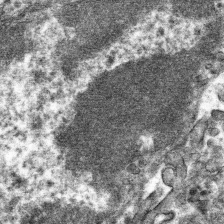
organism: Mouse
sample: Mouse hepatocytes